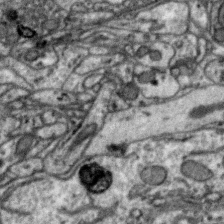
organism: Zebra finch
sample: Brain